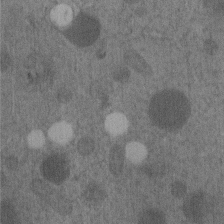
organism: C. elegans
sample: C. elegans embryo early stage